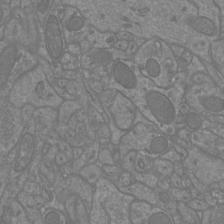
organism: Mouse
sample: Cortical neurons